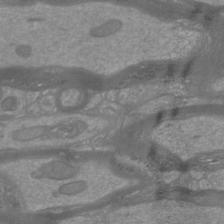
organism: Mouse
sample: Cortical neurons